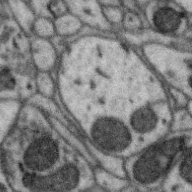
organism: Zebra finch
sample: Brain